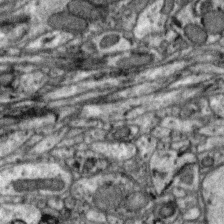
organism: Zebra finch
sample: Brain